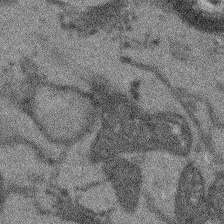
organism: Arabidopsis thaliana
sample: Root tip